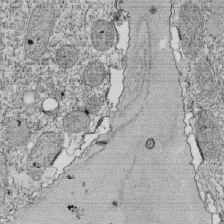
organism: Tetrahymena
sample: Cilia in tetrahymena